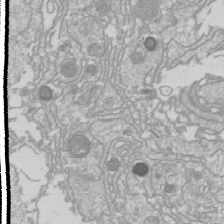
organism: Drosophila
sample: Cell division; meiosis; drosophila spermatocytes